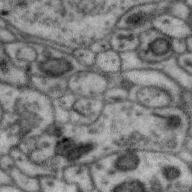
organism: Zebra finch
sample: Brain